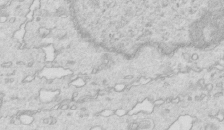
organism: Mouse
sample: Multiciliated cells